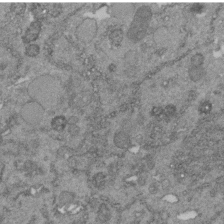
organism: C. elegans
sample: C. elegans embryo early stage